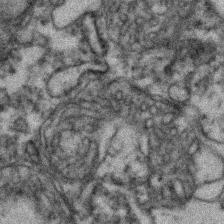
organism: Zebrafish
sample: Zebrafish embryo